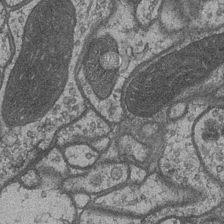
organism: Drosophila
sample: Optic medulla